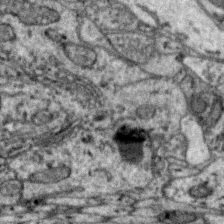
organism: Zebra finch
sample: Brain